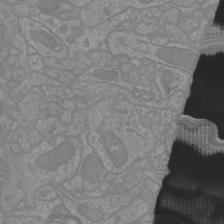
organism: Mouse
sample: Cortical neurons